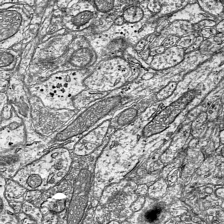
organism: Mouse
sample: Visual Cortex